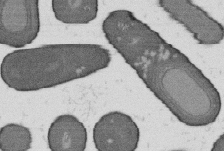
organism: B. subtilis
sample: Bacterial spore